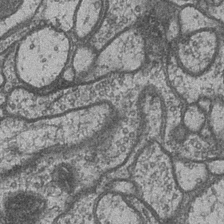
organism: Drosophila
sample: Optic medulla